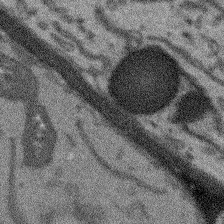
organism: Arabidopsis thaliana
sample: Root tip